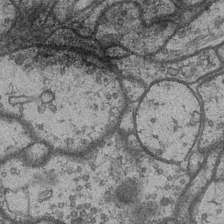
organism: Drosophila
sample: Optic medulla